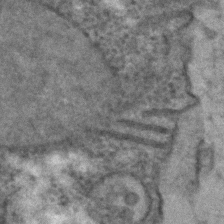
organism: C. elegans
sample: C. elegans embryo